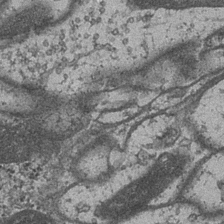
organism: Drosophila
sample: Optic medulla